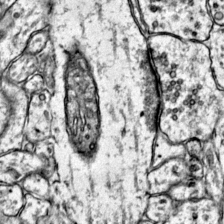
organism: Mouse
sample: Primary visual cortex